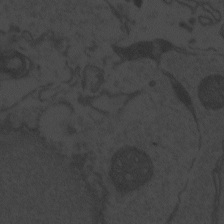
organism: Zebrafish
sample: Macrophage infected with Toxoplasma gondii